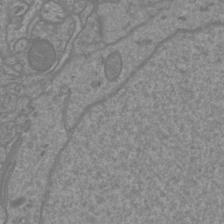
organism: Mouse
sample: Cortical neurons